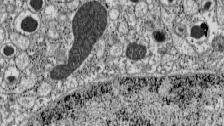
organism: C57BL Mouse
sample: Pancreatic islet